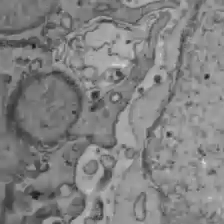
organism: C57BL Mouse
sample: Liver